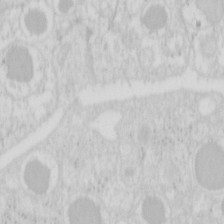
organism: Mouse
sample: Pancreas